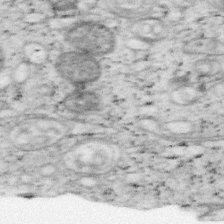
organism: Mouse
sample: OT-I killer T cells with ID8 ovarian cancer cells